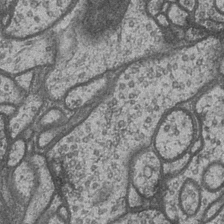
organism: Drosophila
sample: Optic medulla